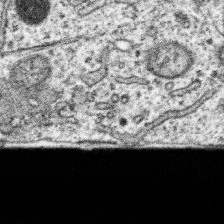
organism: Human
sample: HeLa cells